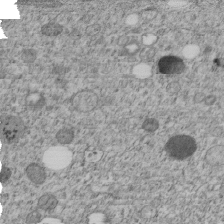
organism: C. elegans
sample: C. elegans embryo early stage